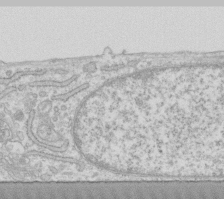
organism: Human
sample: Fibroblast cells